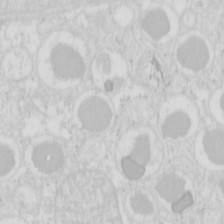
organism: Mouse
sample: Pancreas